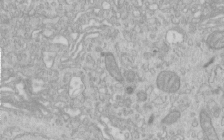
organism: Human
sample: Centriole in RPE cells